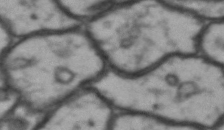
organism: Drosophila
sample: Brain